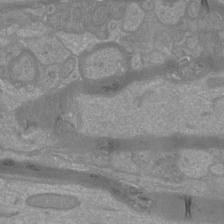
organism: Mouse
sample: Cortical neurons